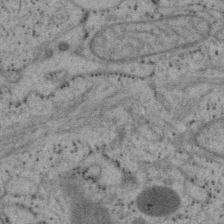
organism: Human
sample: HeLa cells